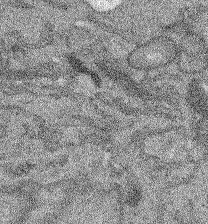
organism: Human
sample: HeLa cells